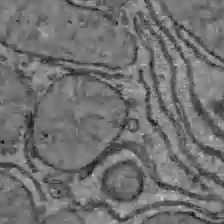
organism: C57BL Mouse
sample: Liver